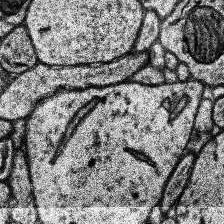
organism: Human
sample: Temporal Lobe